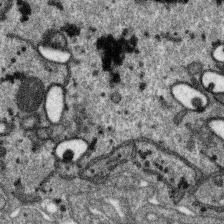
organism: Human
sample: Lung epithelial cells infected with SARS-CoV-2